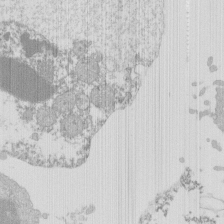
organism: Mouse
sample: Activated Pmel transgenic CD8+ T Cells